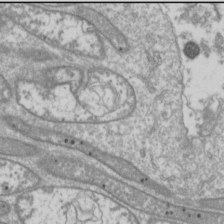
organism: Drosophila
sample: Cell division; meiosis; drosophila spermatocytes